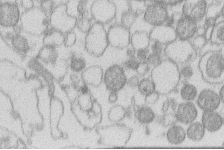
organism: Human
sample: Macrophage cells